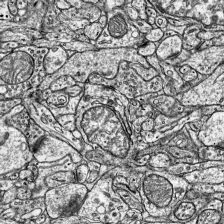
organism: Mouse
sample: Visual Cortex